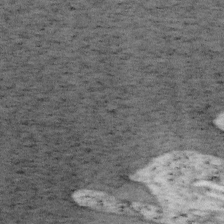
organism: Mouse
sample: OT-I killer T cells with ID8 ovarian cancer cells